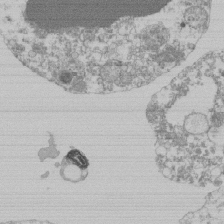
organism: Mouse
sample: Activated Pmel transgenic CD8+ T Cells